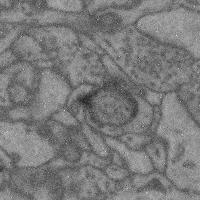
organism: Mouse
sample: Cerebral cortex